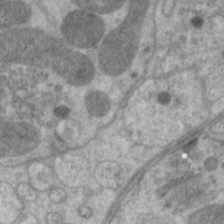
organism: C. elegans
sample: Pharynx